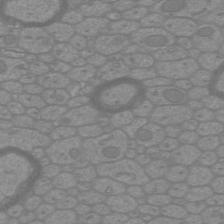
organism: Mouse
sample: Cortical neurons